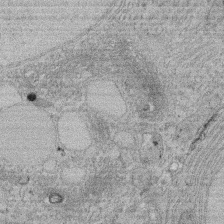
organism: Rat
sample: Salivary granule